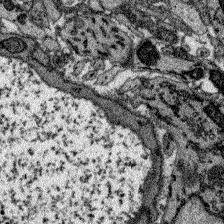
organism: Zebrafish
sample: Larval olfactory bulb